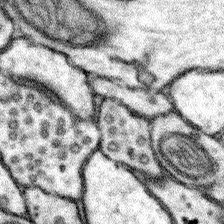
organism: Mouse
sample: Somatosensory cortex neuropil